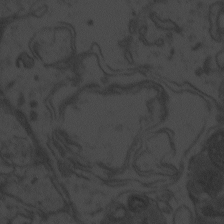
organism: Zebrafish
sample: Macrophage infected with Toxoplasma gondii